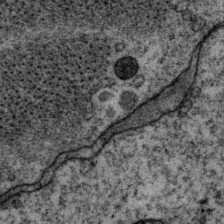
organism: P. pacificus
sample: Pharynx